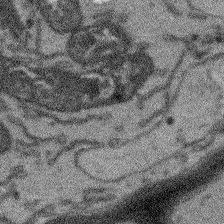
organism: Arabidopsis thaliana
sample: Root tip